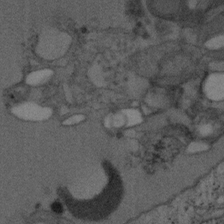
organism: Human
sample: HeLa cells